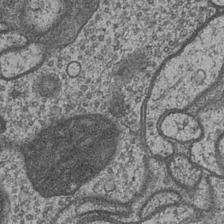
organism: Drosophila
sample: Optic medulla